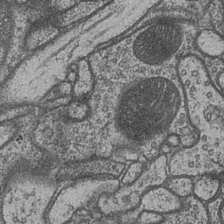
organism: Drosophila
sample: Optic medulla